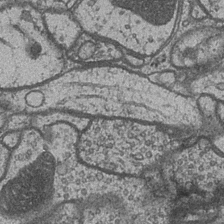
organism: Drosophila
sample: Optic medulla